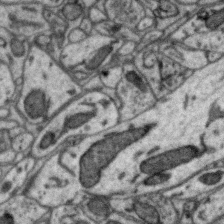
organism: Zebra finch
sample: Brain